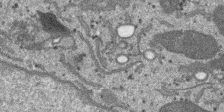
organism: Human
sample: Lung epithelial cells infected with SARS-CoV-2